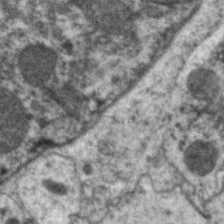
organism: C. elegans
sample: Pharynx